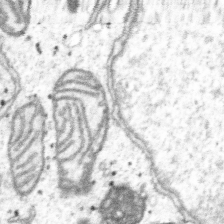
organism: Human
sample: HeLa cells